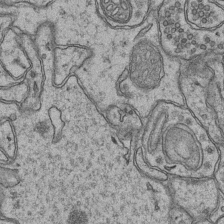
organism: Mouse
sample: CA1 Hippocampus